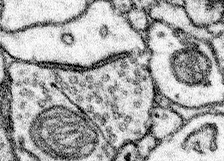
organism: Mouse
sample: Somatosensory cortex neuropil